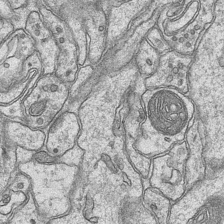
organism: Mouse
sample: CA1 Hippocampus